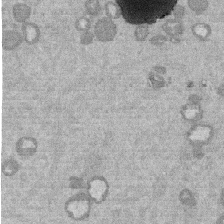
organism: Mouse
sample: Dividing mouse embryo 1 cell stage